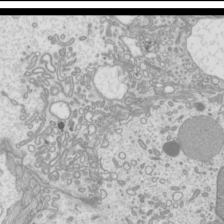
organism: Mouse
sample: Cilia; mouse epididymis